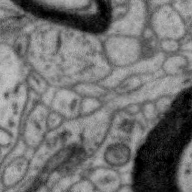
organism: Zebra finch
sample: Brain